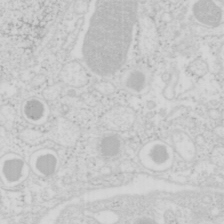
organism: Mouse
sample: Pancreas